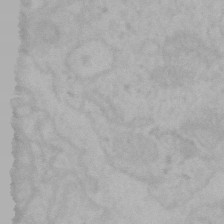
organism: Mouse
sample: Choroid plexus